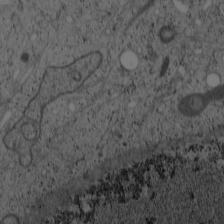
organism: African green monkey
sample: COS-7 cells